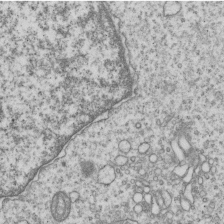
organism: Human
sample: MDA-MB-231 cells